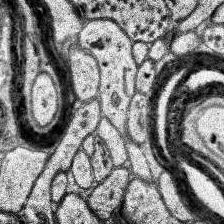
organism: Human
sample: Temporal Lobe